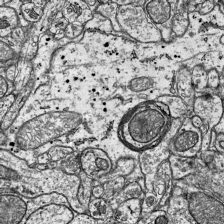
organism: Mouse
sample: Visual Cortex